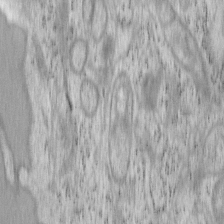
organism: Human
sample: HeLa cells